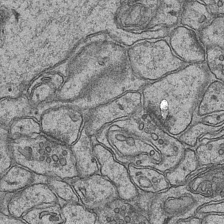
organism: Mouse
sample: CA1 Hippocampus